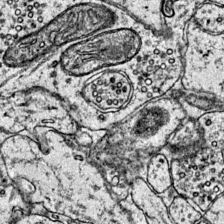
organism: Mouse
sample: Primary visual cortex